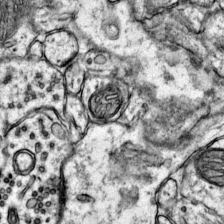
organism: Mouse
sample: Primary visual cortex